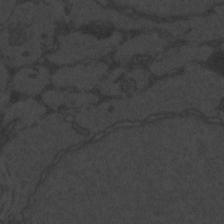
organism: Zebrafish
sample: Macrophage infected with Toxoplasma gondii